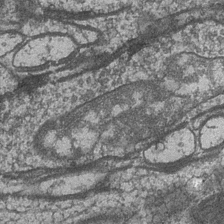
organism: Drosophila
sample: Optic medulla